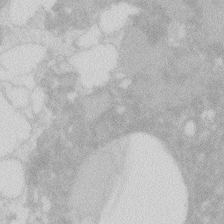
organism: Zebrafish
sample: Macrophage